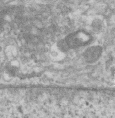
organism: Human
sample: Centriole in RPE cells